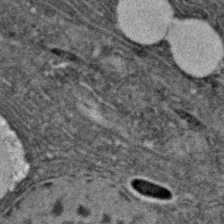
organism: C. elegans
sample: C. elegans embryo